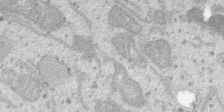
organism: Human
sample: Lung epithelial cells infected with SARS-CoV-2